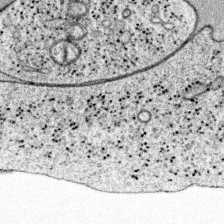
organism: Human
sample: HeLa cells